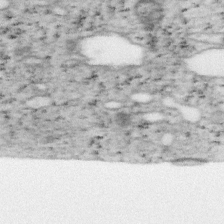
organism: Mouse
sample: OT-I killer T cells with ID8 ovarian cancer cells